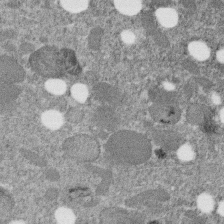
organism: C. elegans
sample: C. elegans embryo early stage